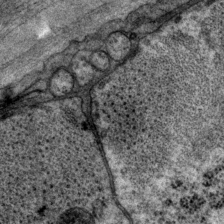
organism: P. pacificus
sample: Pharynx